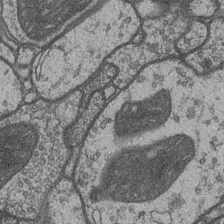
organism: Drosophila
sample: Optic medulla